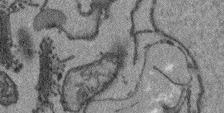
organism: Arabidopsis thaliana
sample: Root tip